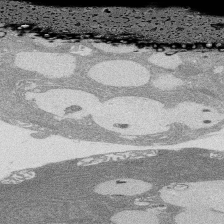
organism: Rat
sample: Salivary granule